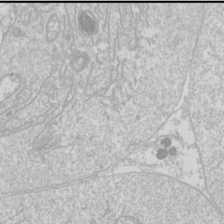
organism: Drosophila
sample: Cell division; meiosis; drosophila spermatocytes